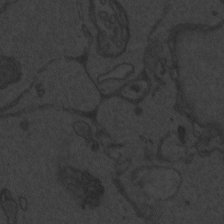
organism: Zebrafish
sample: Macrophage infected with Toxoplasma gondii